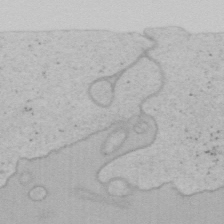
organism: Human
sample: HeLa cells